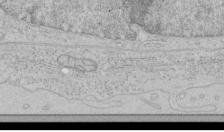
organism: Human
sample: Mitochondria in HCT116 cells